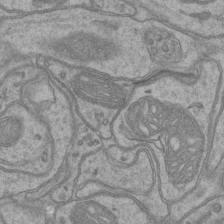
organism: Mouse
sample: CA1 Hippocampus